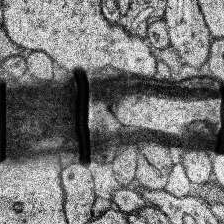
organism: Human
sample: Temporal Lobe